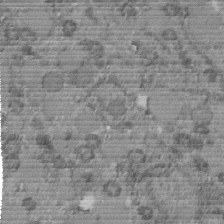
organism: C. elegans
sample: C. elegans embryo early stage